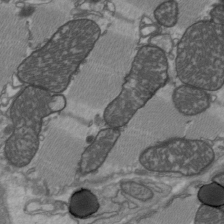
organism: C57BL Mouse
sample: Heart